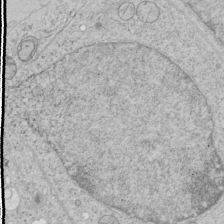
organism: Human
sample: Mitochondria in HCT116 cells